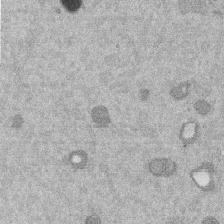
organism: Mouse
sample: Dividing mouse embryo 1 cell stage